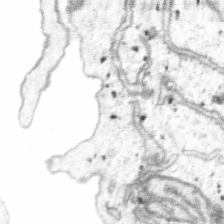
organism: Human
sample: HeLa cells